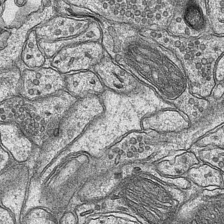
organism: Mouse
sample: CA1 Hippocampus